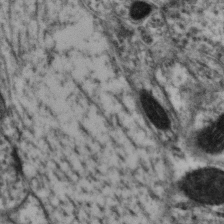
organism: Mouse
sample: Neocortex